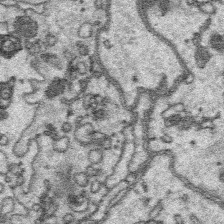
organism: Platynereis dumerilii